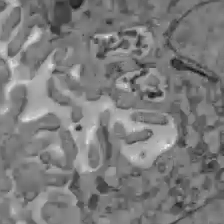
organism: C57BL Mouse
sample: Liver